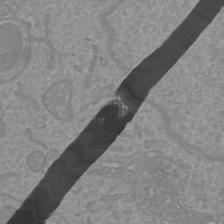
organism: Mouse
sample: Cortical neurons